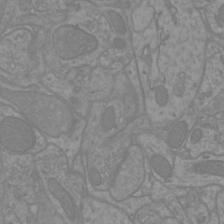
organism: Mouse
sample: Cortical neurons